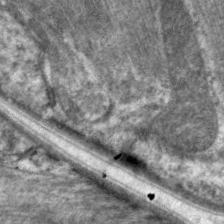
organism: C. elegans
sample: Pharynx